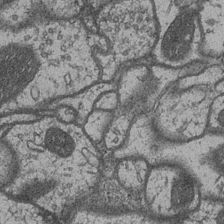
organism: Drosophila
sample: Optic medulla